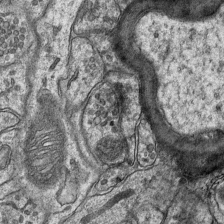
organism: Mouse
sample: CA1 Hippocampus